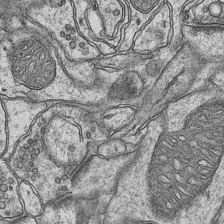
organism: Mouse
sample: CA1 Hippocampus